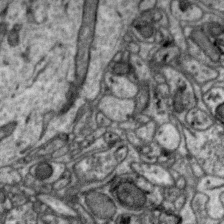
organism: Zebra finch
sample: Brain